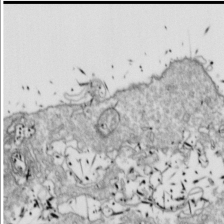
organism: Drosophila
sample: Cell division; meiosis; drosophila spermatocytes